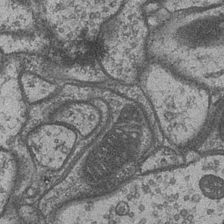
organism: Drosophila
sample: Optic medulla